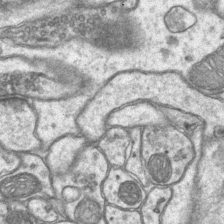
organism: Mouse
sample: CA1 Hippocampus